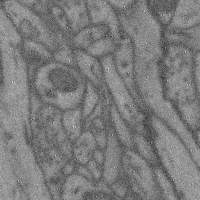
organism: Mouse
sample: Cerebral cortex